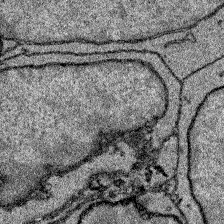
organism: Zebrafish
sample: Larval olfactory bulb